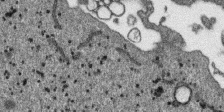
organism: Human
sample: Lung epithelial cells infected with SARS-CoV-2